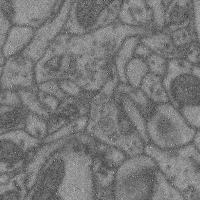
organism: Mouse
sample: Cerebral cortex